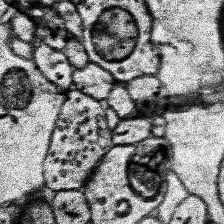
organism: Human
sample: Temporal Lobe